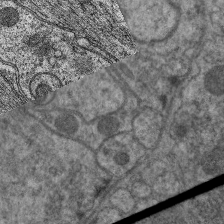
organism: C. elegans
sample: Pharynx